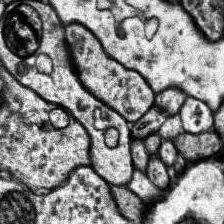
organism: Human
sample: Temporal Lobe